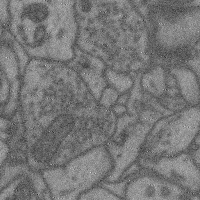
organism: Mouse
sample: Cerebral cortex